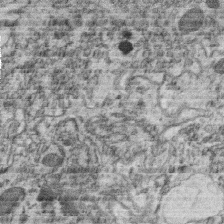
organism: C. elegans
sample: C. elegans oocyte; sperm cells